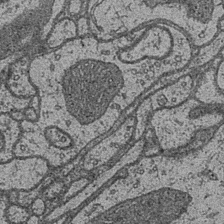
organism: Drosophila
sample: Optic medulla